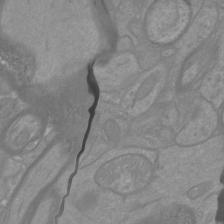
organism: Mouse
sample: Cortical neurons